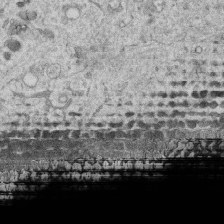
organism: Human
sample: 1205lu cells